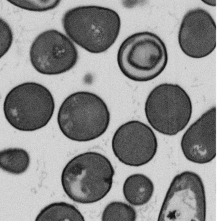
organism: B. subtilis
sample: Bacterial spore